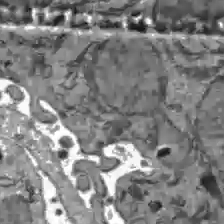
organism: C57BL Mouse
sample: Liver